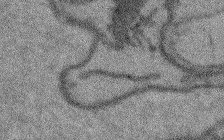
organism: Arabidopsis thaliana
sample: Root tip